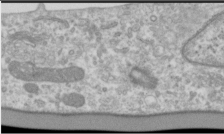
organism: Human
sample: Cilia; basal body in RPE cells